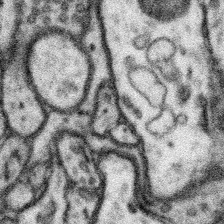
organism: Mouse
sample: Somatosensory cortex neuropil